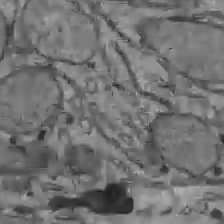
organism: C57BL Mouse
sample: Liver